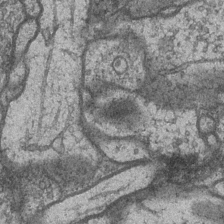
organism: Drosophila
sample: Optic medulla